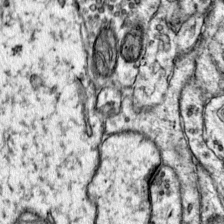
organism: Mouse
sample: Primary visual cortex